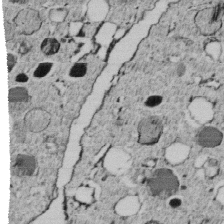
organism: C. elegans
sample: C. elegans embryo early stage